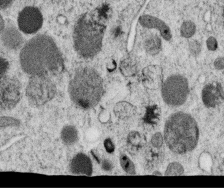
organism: C. elegans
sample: C. elegans oocyte; sperm cells